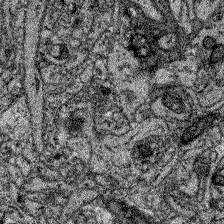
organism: Zebrafish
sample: Larval olfactory bulb